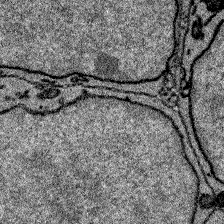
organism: Zebrafish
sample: Larval olfactory bulb